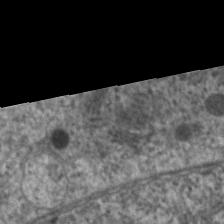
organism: C. elegans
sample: Pharynx